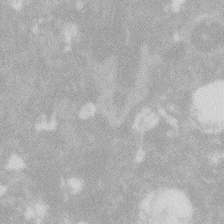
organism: Zebrafish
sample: Macrophage